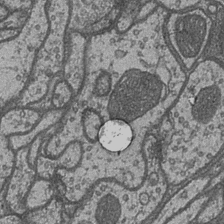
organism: Drosophila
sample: Optic medulla